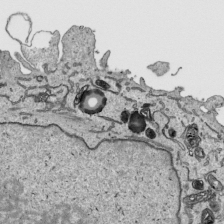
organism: Human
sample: Mitochondria in HCT116 cells